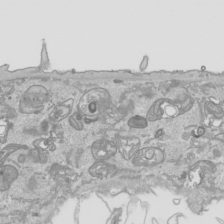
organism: Human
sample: Mitochondria in HCT116 cells